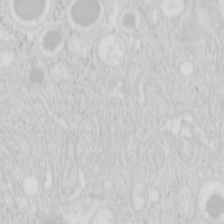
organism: Mouse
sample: Pancreas